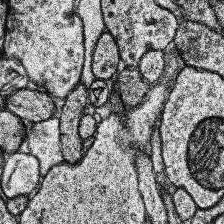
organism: Human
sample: Temporal Lobe